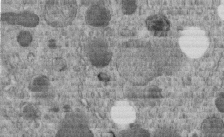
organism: C. elegans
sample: C. elegans embryo early stage